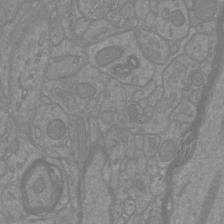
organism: Mouse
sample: Cortical neurons